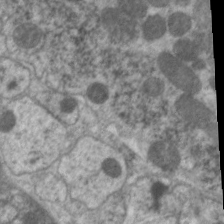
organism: C. elegans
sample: Pharynx